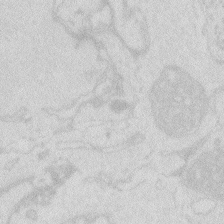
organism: Zebrafish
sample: Macrophage